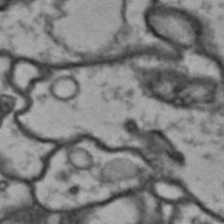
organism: Drosophila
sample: Brain